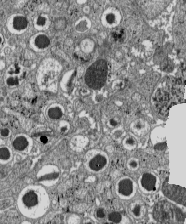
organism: C57BL Mouse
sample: Pancreatic islet